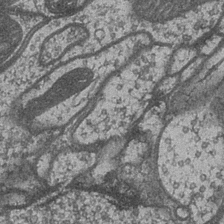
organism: Drosophila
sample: Optic medulla